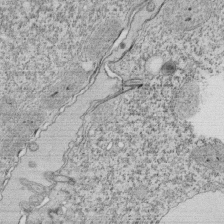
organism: Tetrahymena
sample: Cilia in tetrahymena